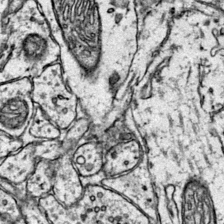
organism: Mouse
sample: Primary visual cortex